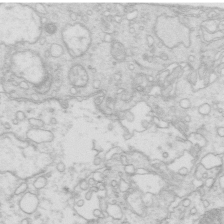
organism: Mouse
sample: Multiciliated cells